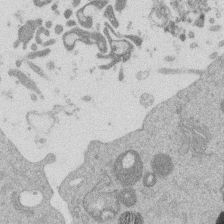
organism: Mouse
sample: Dividing mouse embryo 1 cell stage